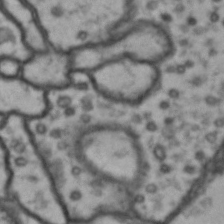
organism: Drosophila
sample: Brain